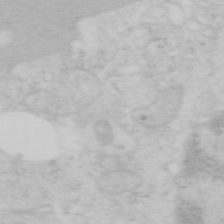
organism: Mouse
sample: OT-I killer T cells with ID8 ovarian cancer cells